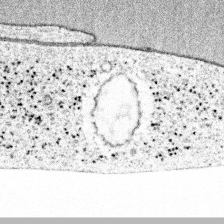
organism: Human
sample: HeLa cells